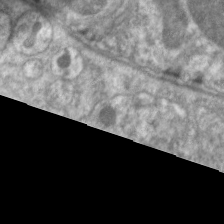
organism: C. elegans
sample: Pharynx